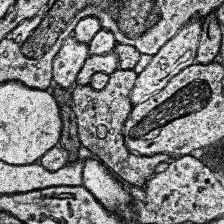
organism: Human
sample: Temporal Lobe